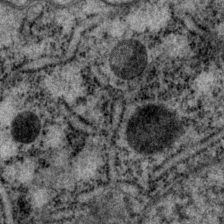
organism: P. pacificus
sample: Pharynx